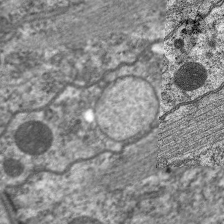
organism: C. elegans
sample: Pharynx